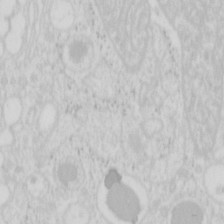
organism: Mouse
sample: Pancreas